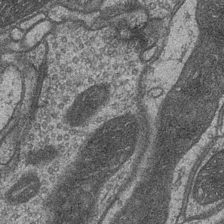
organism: Drosophila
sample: Optic medulla